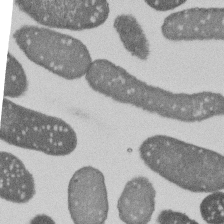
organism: E. coli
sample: Bacterial nucleoid